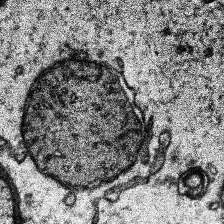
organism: Human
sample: Temporal Lobe